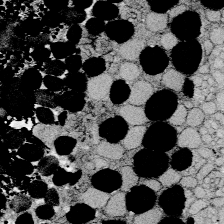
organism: Zebrafish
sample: Whole-Brain